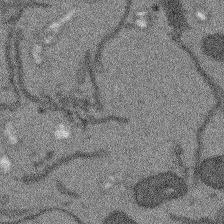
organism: Arabidopsis thaliana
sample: Root tip